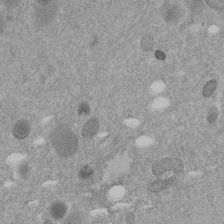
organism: C. elegans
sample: C. elegans embryo early stage